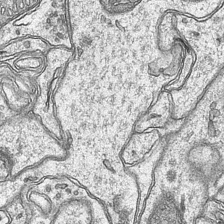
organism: Mouse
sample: CA1 Hippocampus